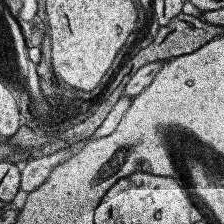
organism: Human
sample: Temporal Lobe